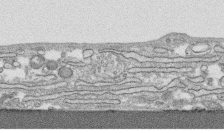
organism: Human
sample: CRL-1474